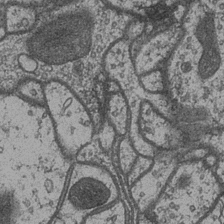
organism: Drosophila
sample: Optic medulla